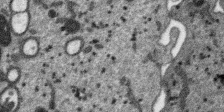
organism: Human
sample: Lung epithelial cells infected with SARS-CoV-2